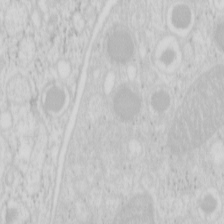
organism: Mouse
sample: Pancreas